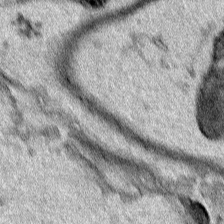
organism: Human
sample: Mitochondria in HCT116 cells